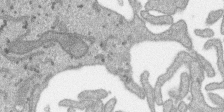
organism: Human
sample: Lung epithelial cells infected with SARS-CoV-2